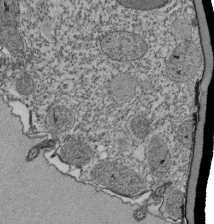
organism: Tetrahymena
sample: Cilia in tetrahymena